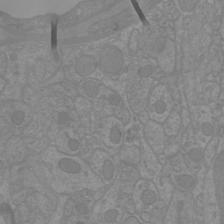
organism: Mouse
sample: Cortical neurons